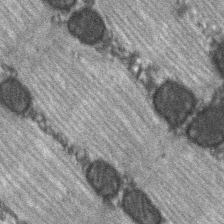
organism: C57BL Mouse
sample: Soleus